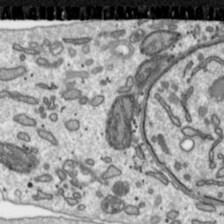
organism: Toxoplasma gondii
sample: Parasites in a vacuole inside a host cell